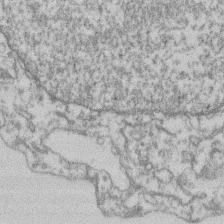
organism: Mouse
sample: T cell stromal cell synapse